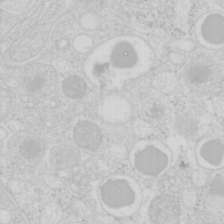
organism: Mouse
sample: Pancreas